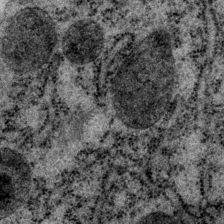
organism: P. pacificus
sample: Pharynx